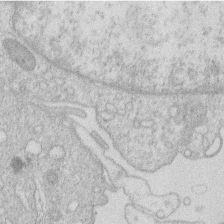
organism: Human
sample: Macrophage cells